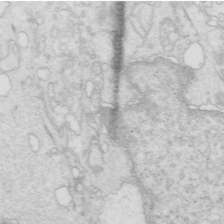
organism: Mouse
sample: Multiciliated cells